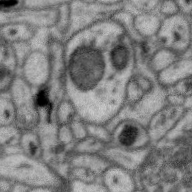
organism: Zebra finch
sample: Brain